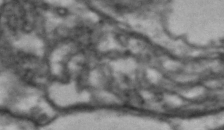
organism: Drosophila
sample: Brain